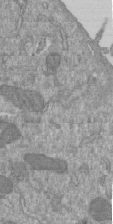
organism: Mouse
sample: ED-1 cell nuclei; centrioles